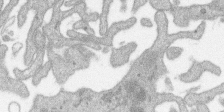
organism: Human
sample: Lung epithelial cells infected with SARS-CoV-2